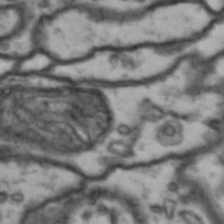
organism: Drosophila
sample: Brain